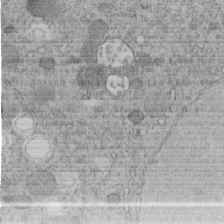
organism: C. elegans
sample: C. elegans embryo early stage